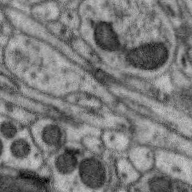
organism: Zebra finch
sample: Brain